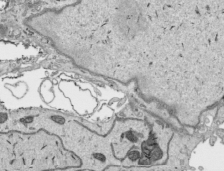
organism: Human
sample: Mitochondria in HCT116 cells